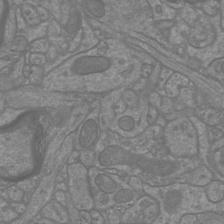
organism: Mouse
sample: Cortical neurons